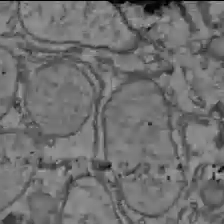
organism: C57BL Mouse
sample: Liver